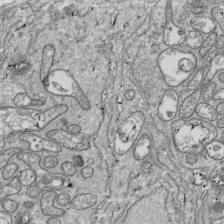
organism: Drosophila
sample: Cell division; meiosis; drosophila spermatocytes